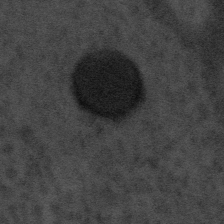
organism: Tuwongella immobilis